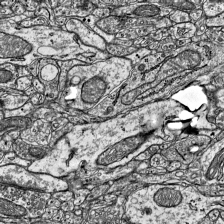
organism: Mouse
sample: Visual Cortex